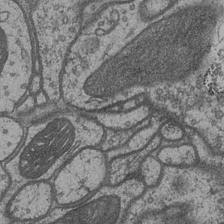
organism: Drosophila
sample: Optic medulla